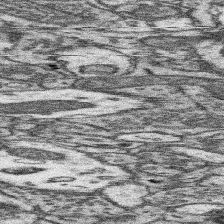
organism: Mouse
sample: Somatosensory cortex neuropil